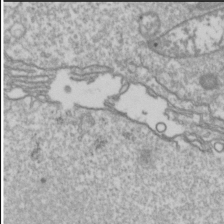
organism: Drosophila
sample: Cell division; meiosis; drosophila spermatocytes